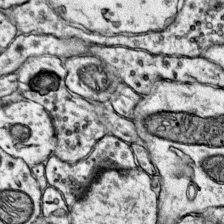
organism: Mouse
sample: Primary visual cortex